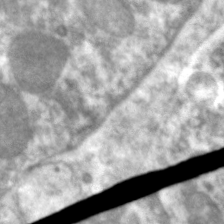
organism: C. elegans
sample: Pharynx